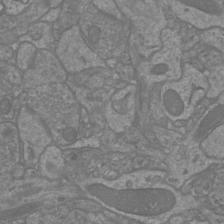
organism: Mouse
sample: Cortical neurons